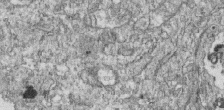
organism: Human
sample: HeLa cell HIV synapse